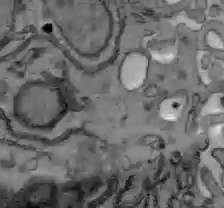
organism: C57BL Mouse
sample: Liver